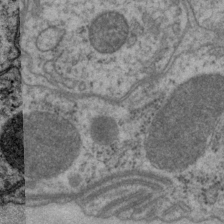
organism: P. pacificus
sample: Pharynx